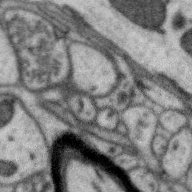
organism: Zebra finch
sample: Brain